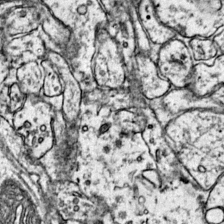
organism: Mouse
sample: Primary visual cortex